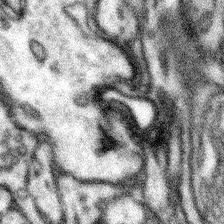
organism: Mouse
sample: Somatosensory cortex neuropil